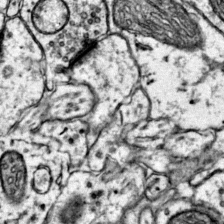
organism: Mouse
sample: Primary visual cortex